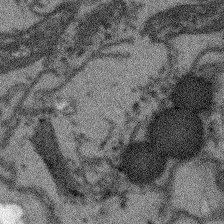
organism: Arabidopsis thaliana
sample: Root tip